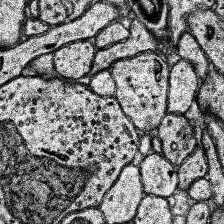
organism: Human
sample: Temporal Lobe